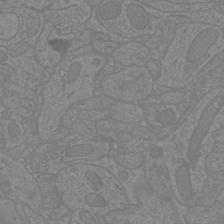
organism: Mouse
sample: Cortical neurons